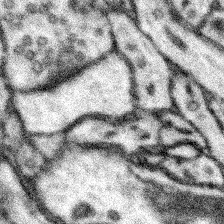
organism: Mouse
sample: Somatosensory cortex neuropil